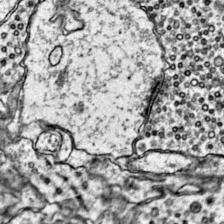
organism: Mouse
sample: Primary visual cortex